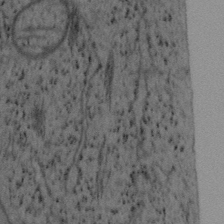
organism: Human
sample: HeLa cells